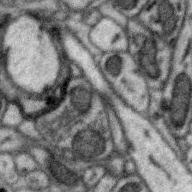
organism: Zebra finch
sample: Brain